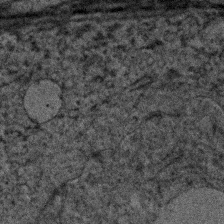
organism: Human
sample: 1205lu cells